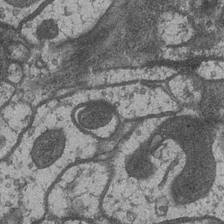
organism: Drosophila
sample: Optic medulla